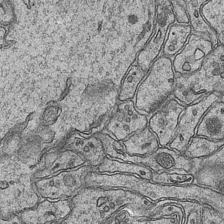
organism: Mouse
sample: CA1 Hippocampus